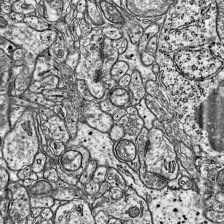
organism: Mouse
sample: Visual Cortex